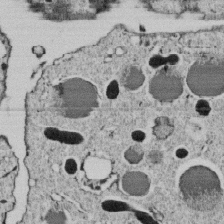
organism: C. elegans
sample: C. elegans embryo early stage